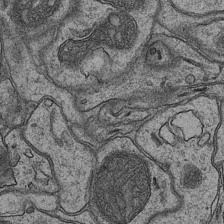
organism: Mouse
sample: CA1 Hippocampus